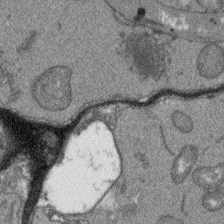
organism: Arabidopsis thaliana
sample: Root tip